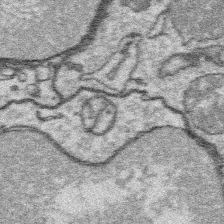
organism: Platynereis dumerilii